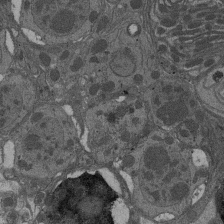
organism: Drosophila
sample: Antenna